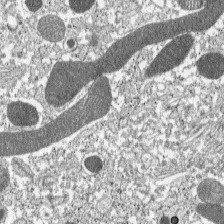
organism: C57BL Mouse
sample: Pancreatic islet